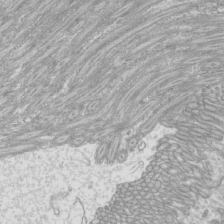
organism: Mouse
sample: Cilia; mouse epididymis